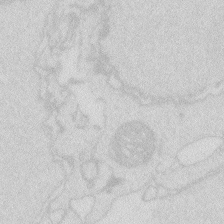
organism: Zebrafish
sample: Macrophage